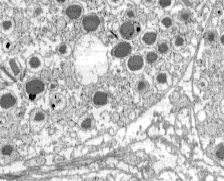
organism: C57BL Mouse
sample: Pancreatic islet